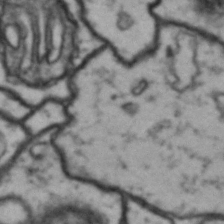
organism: Drosophila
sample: Brain